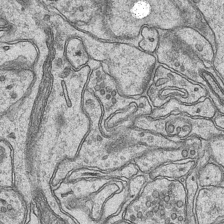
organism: Mouse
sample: CA1 Hippocampus